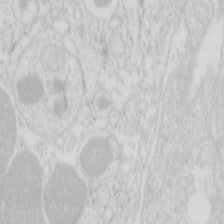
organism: Mouse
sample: Pancreas